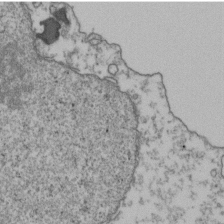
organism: Human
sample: Activated Jurkat CD4+ T cells